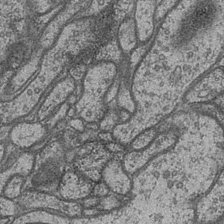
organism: Drosophila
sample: Optic medulla